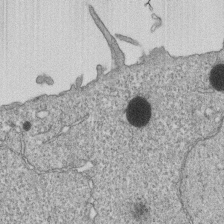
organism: Human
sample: HeLa cell HIV synapse